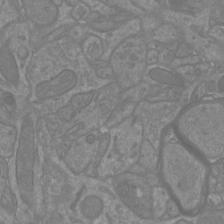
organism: Mouse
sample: Cortical neurons